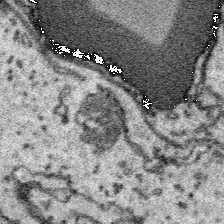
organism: Platynereis dumerilii